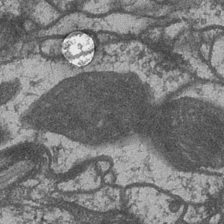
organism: Drosophila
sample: Optic medulla